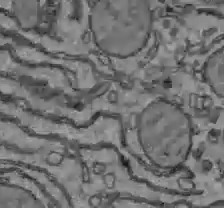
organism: C57BL Mouse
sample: Liver